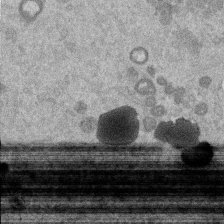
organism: Mouse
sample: Dividing mouse embryo 1 cell stage